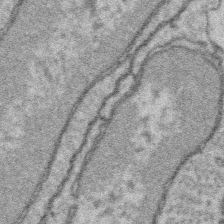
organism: Platynereis dumerilii